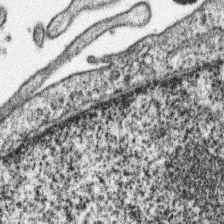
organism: Human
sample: HeLa cells